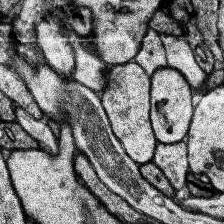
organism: Human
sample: Temporal Lobe